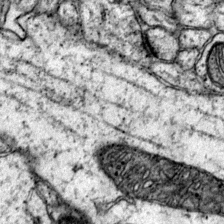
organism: Mouse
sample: Primary visual cortex